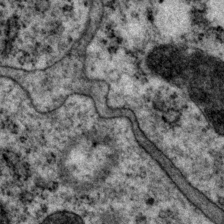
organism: P. pacificus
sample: Pharynx